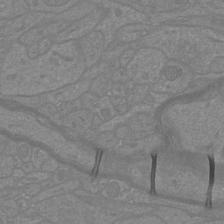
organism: Mouse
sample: Cortical neurons